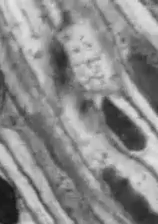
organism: Drosophila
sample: Optic lobe